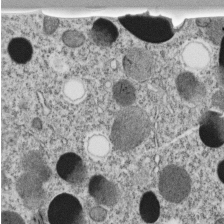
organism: C. elegans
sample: C. elegans embryo early stage